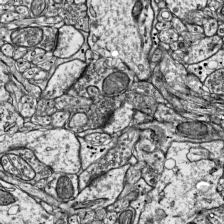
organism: Mouse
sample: Visual Cortex